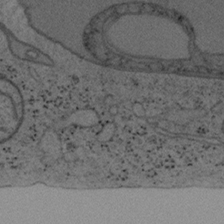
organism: Human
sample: HeLa cells